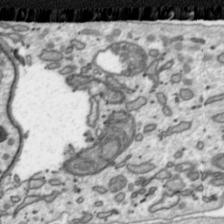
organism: Toxoplasma gondii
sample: Parasites in a vacuole inside a host cell